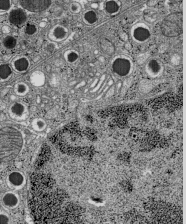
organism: C57BL Mouse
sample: Pancreatic islet